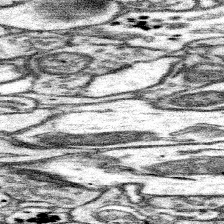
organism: Mouse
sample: Somatosensory cortex neuropil